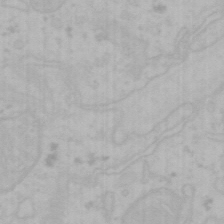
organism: Mouse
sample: Choroid plexus